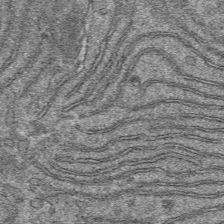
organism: Mouse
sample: Mouse hepatocytes